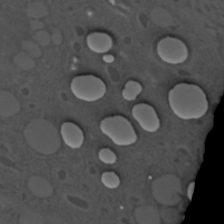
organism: C. elegans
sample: C. elegans embryo